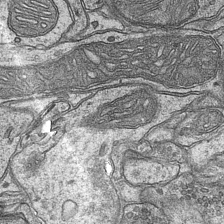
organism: Mouse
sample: CA1 Hippocampus